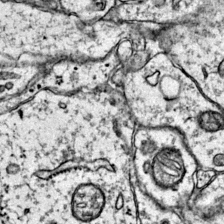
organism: Mouse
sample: Primary visual cortex